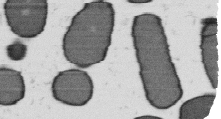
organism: B. subtilis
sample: Bacterial spore